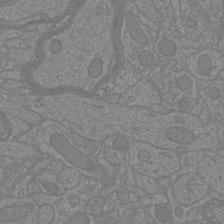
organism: Mouse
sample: Cortical neurons